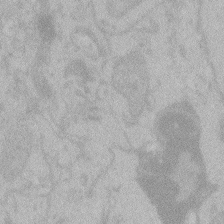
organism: Zebrafish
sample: Macrophage infected with Toxoplasma gondii